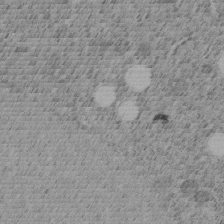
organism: C. elegans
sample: C. elegans embryo early stage